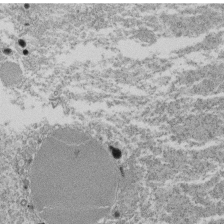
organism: Tetrahymena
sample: Cilia in tetrahymena